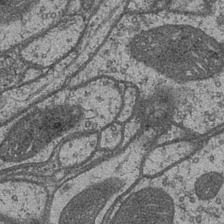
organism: Drosophila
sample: Optic medulla